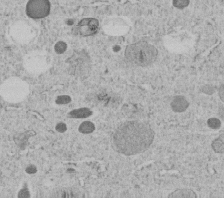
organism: C. elegans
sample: C. elegans embryo early stage